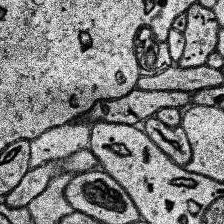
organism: Human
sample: Temporal Lobe